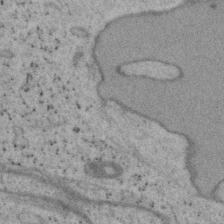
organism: Human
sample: HeLa cells